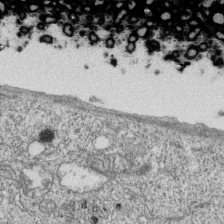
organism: Human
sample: HeLa cell HIV synapse